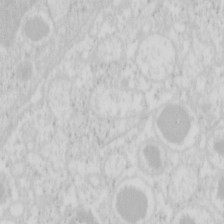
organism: Mouse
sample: Pancreas